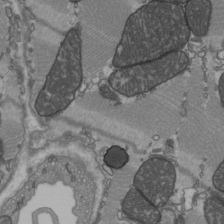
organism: C57BL Mouse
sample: Heart